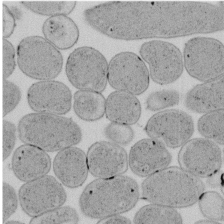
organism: E. coli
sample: Bacterial nucleoid